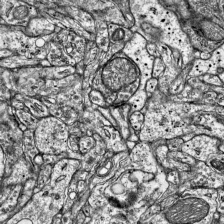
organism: Mouse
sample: Visual Cortex